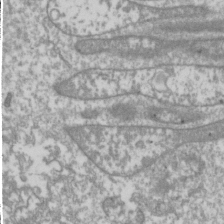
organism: Drosophila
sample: Cell division; meiosis; drosophila spermatocytes